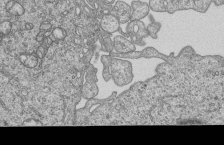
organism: Human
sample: MDA-MB-231 cells